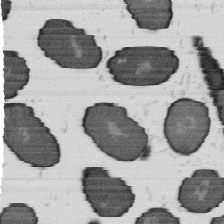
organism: B. subtilis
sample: Bacterial spore